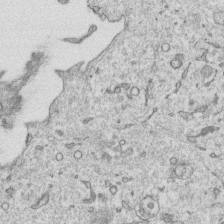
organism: Human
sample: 1205lu cells